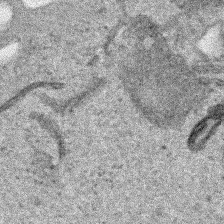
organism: Human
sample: Mitochondria in HCT116 cells